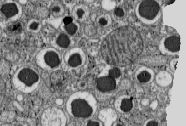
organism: C57BL Mouse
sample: Pancreatic islet